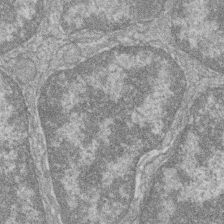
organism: Zebrafish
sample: Cilia; retinal pigment epithelium